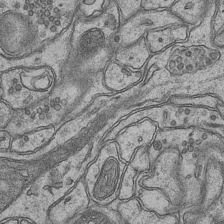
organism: Mouse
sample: CA1 Hippocampus